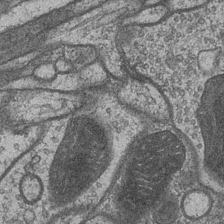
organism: Drosophila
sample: Optic medulla